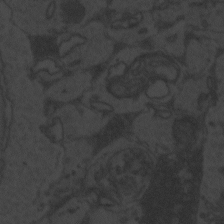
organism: Zebrafish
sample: Macrophage infected with Toxoplasma gondii